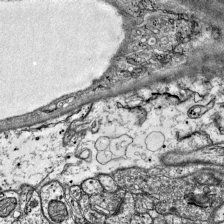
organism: Mouse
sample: Visual Cortex